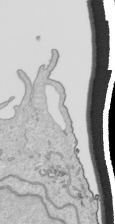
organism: Human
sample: Mitochondria in HCT116 cells